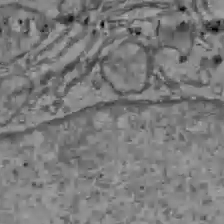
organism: C57BL Mouse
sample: Liver